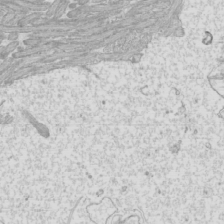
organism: Mouse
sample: Cilia; mouse epididymis